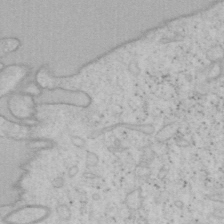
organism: Human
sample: HeLa cells